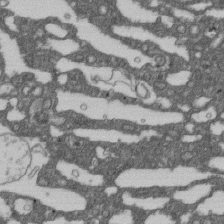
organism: Drosophila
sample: Nephrocyte